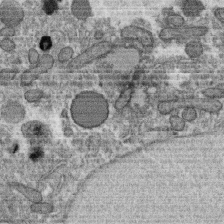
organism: C. elegans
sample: C. elegans oocyte; sperm cells